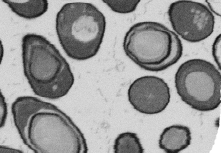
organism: B. subtilis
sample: Bacterial spore